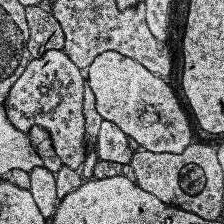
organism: Human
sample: Temporal Lobe